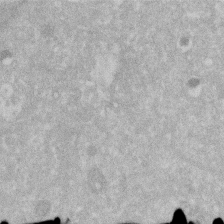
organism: Human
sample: HIV infected U937 cells